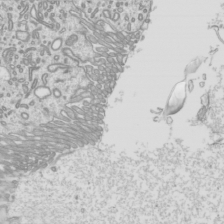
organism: Mouse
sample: Cilia; mouse epididymis